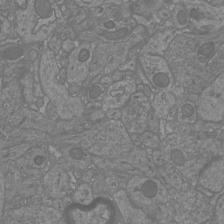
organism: Mouse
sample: Cortical neurons